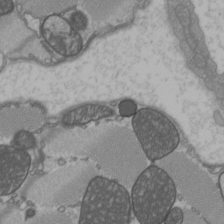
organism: C57BL Mouse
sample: Heart